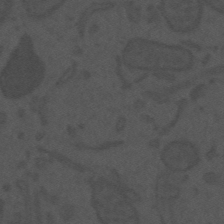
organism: Mouse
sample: Suprachiasmatic nucleus